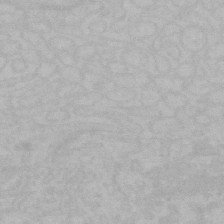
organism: Mouse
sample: Choroid plexus